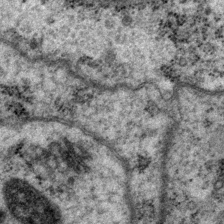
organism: P. pacificus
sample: Pharynx